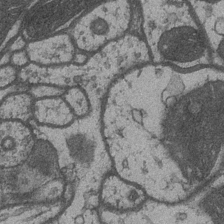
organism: Drosophila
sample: Optic medulla